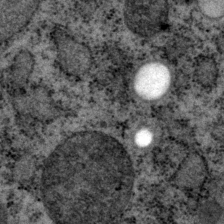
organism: P. pacificus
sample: Pharynx